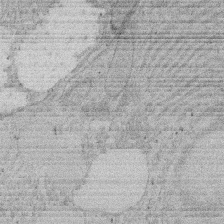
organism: Rat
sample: Salivary granule